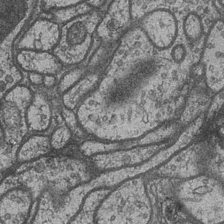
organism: Drosophila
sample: Optic medulla